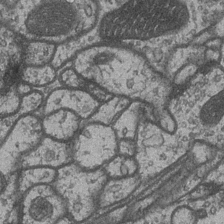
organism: Drosophila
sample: Optic medulla